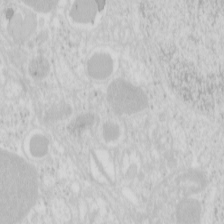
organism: Mouse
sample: Pancreas